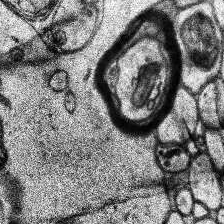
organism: Human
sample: Temporal Lobe